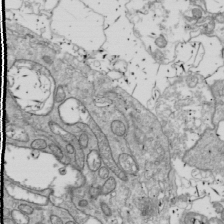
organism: Drosophila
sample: Cell division; meiosis; drosophila spermatocytes